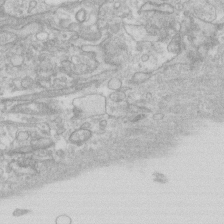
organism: Human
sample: Fibroblast cells